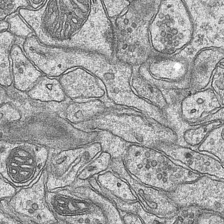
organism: Mouse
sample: CA1 Hippocampus